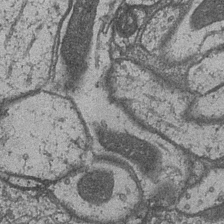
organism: Drosophila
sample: Optic medulla